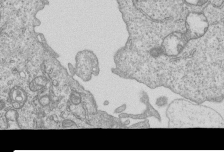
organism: Human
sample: MDA-MB-231 cells